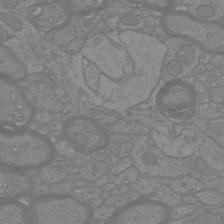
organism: Mouse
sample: Cortical neurons